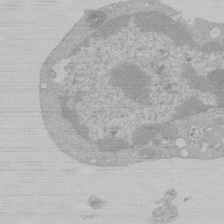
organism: Mouse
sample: Activated Pmel transgenic CD8+ T Cells